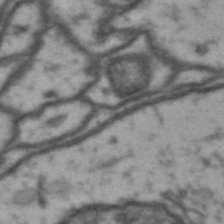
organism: Drosophila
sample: Brain